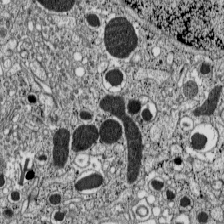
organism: C57BL Mouse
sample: Pancreatic islet